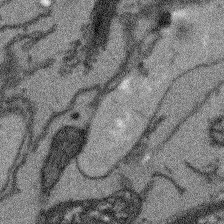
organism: Arabidopsis thaliana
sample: Root tip